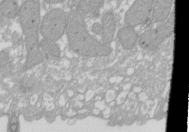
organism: Xenopus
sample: Cilia; centrioles in frog embryo cells